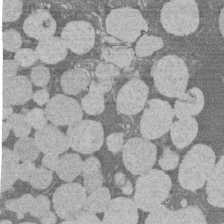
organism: Rat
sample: Salivary granule